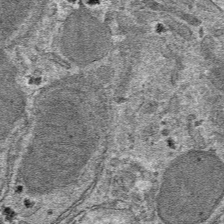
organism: Mouse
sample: Mouse hepatocytes